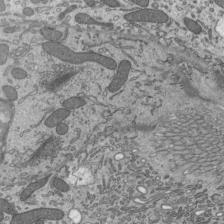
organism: Mouse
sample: Mouse epididymis efferent ductule cilia